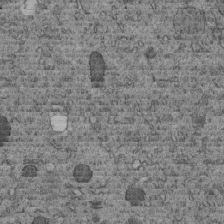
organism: C. elegans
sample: C. elegans embryo early stage